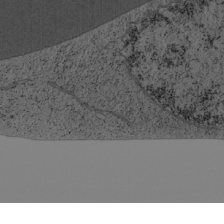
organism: African green monkey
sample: COS-7 cells